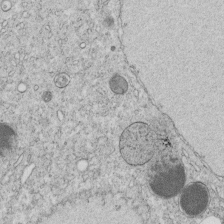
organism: C. elegans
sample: C. elegans embryo early stage